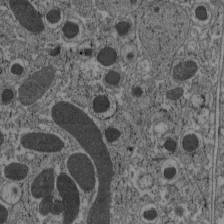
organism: C57BL Mouse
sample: Pancreatic islet